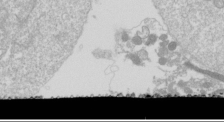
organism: Drosophila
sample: Cell division; meiosis; drosophila spermatocytes